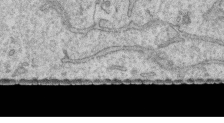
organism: Human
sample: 1205lu cells